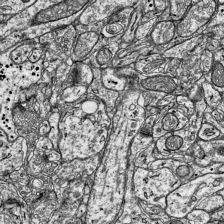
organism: Mouse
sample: Visual Cortex